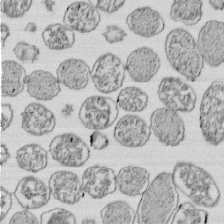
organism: E. coli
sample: Bacterial nucleoid